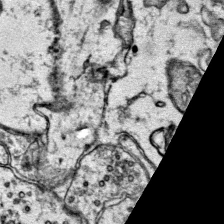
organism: Mouse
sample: Primary visual cortex